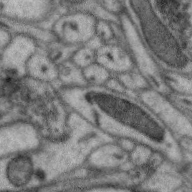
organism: Zebra finch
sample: Brain